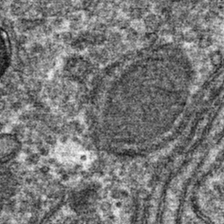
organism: Mouse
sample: Mouse hepatocytes